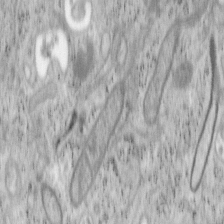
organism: Human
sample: HeLa cells